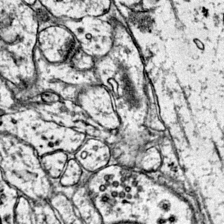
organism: Mouse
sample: Primary visual cortex